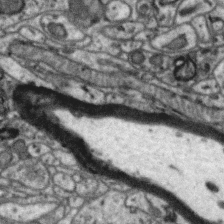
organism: Zebra finch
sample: Brain